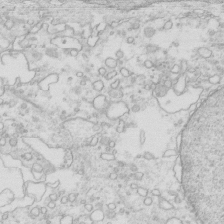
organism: Mouse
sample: Multiciliated cells